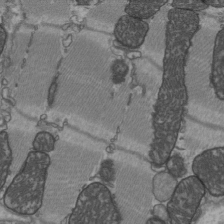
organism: C57BL Mouse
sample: Heart